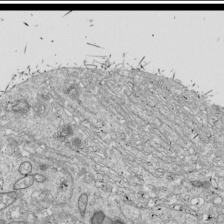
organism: Drosophila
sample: Cell division; meiosis; drosophila spermatocytes